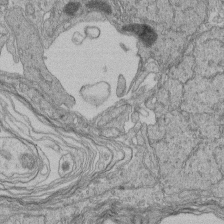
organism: Human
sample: Retinal organoid Rod and Cone cells